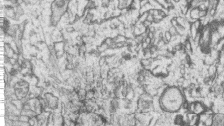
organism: Zebrafish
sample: synaptic ribbons in rod cells and cone cells